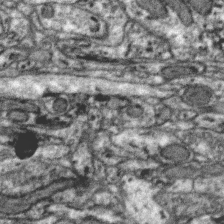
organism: Zebra finch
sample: Brain